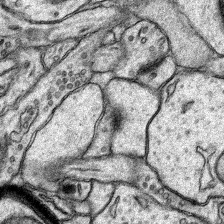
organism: Rat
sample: Hippocampus